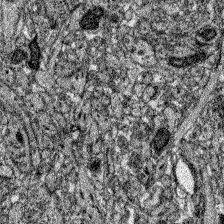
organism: Zebrafish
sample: Larval olfactory bulb